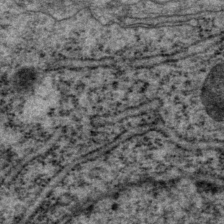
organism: P. pacificus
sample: Pharynx